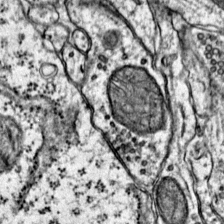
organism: Mouse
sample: Primary visual cortex